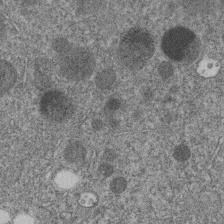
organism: C. elegans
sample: C. elegans embryo early stage